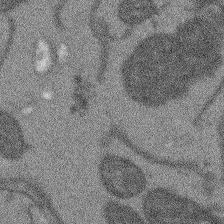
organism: Arabidopsis thaliana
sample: Root tip